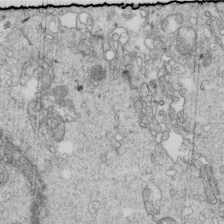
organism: Mouse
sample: Multiciliated cells